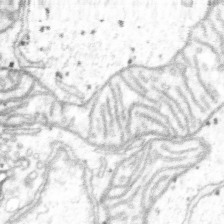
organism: Human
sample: HeLa cells